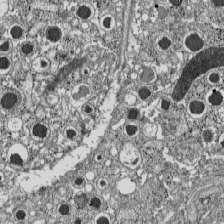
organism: C57BL Mouse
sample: Pancreatic islet